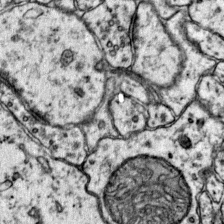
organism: Mouse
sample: Primary visual cortex